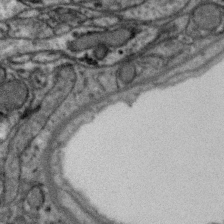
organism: Zebra finch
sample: Brain